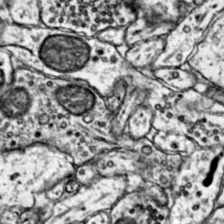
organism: Mouse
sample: Primary visual cortex